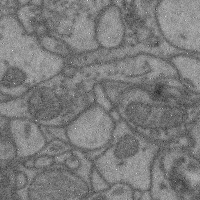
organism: Mouse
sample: Cerebral cortex